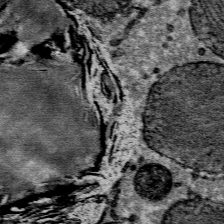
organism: Mouse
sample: Mouse Salivary gland